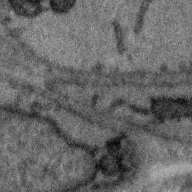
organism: Zebra finch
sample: Brain